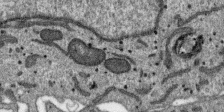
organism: Human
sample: Lung epithelial cells, uninfected (mock) control